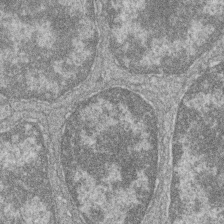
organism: Zebrafish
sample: Cilia; retinal pigment epithelium